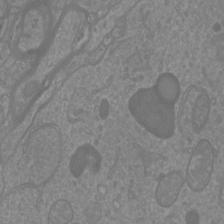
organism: Mouse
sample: Cortical neurons